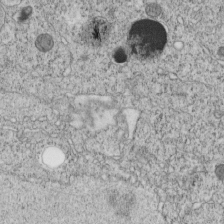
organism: C. elegans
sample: C. elegans embryo early stage